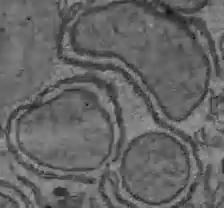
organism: C57BL Mouse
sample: Liver